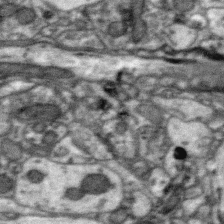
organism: Zebra finch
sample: Brain